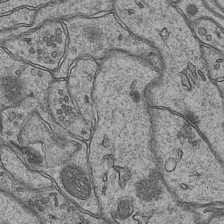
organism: Mouse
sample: CA1 Hippocampus